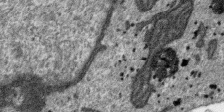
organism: Human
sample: Lung epithelial cells, uninfected (mock) control